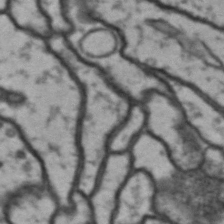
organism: Drosophila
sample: Brain